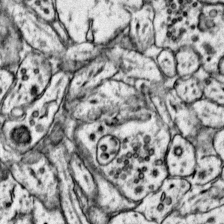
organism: Mouse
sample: Primary visual cortex